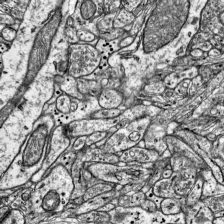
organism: Mouse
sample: Visual Cortex